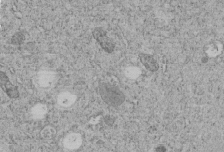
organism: C. elegans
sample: C. elegans embryo early stage